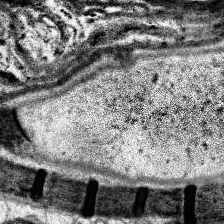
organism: Human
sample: Temporal Lobe